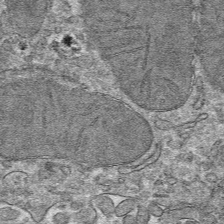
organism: Mouse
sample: Mouse hepatocytes